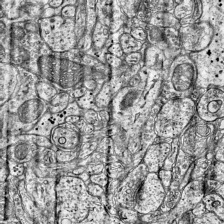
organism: Mouse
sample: Visual Cortex